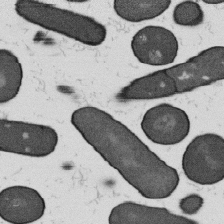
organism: B. subtilis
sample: Bacterial spore